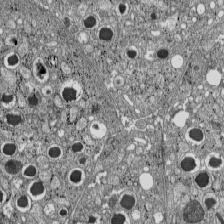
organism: C57BL Mouse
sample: Pancreatic islet